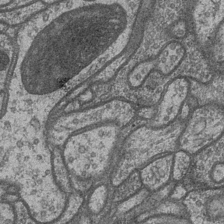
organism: Drosophila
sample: Optic medulla